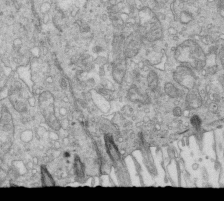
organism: Mouse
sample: Multiciliated cells